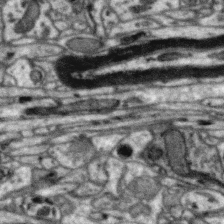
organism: Zebra finch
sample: Brain